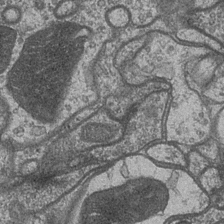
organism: Drosophila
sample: Optic medulla